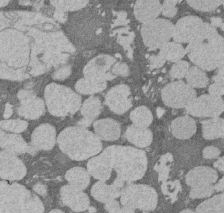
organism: Rat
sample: Salivary granule